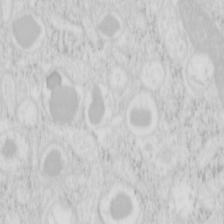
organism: Mouse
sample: Pancreas